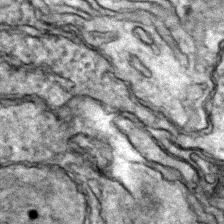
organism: Zebrafish